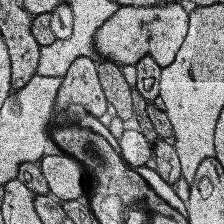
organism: Human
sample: Temporal Lobe